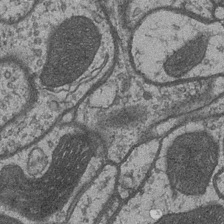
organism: Drosophila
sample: Optic medulla